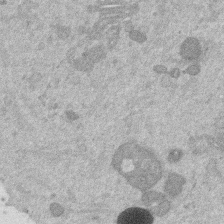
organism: Mouse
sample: Dividing mouse embryo 1 cell stage